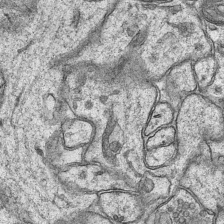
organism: Mouse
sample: CA1 Hippocampus